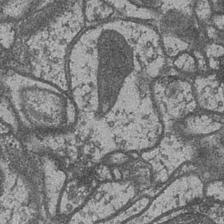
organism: Drosophila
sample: Optic medulla